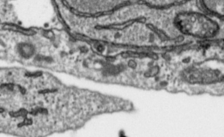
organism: Toxoplasma gondii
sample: Parasites in a vacuole inside a host cell